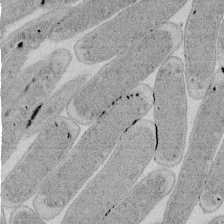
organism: E. coli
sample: Bacterial nucleoid